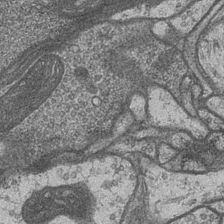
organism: Drosophila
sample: Optic medulla